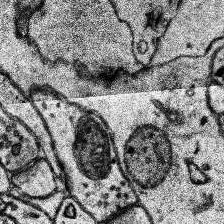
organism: Human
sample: Temporal Lobe